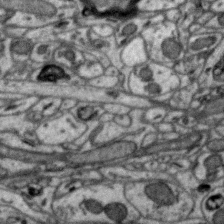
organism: Zebra finch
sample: Brain